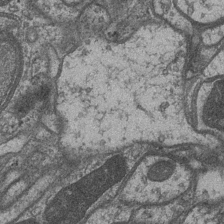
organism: Drosophila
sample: Optic medulla